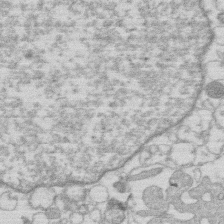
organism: Human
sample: Macrophage cells